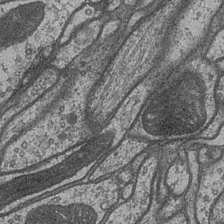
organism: Drosophila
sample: Optic medulla